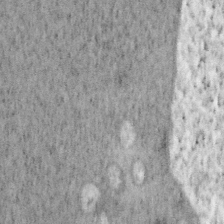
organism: Mouse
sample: OT-I killer T cells with ID8 ovarian cancer cells